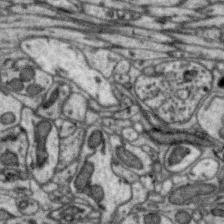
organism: Zebra finch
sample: Brain